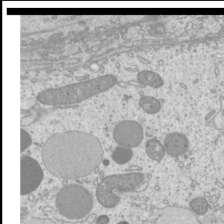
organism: Mouse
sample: Cilia; mouse epididymis